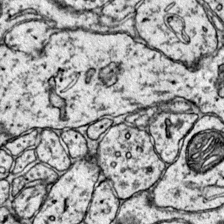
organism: Mouse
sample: Primary visual cortex